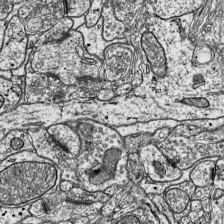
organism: Mouse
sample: Visual Cortex